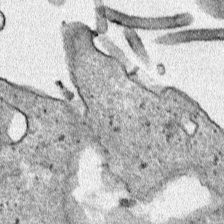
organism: Human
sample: Mitochondria in HCT116 cells